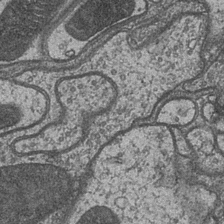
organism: Drosophila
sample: Optic medulla